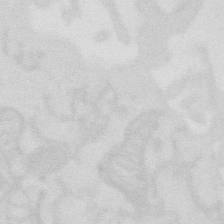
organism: Human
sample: HeLa cells